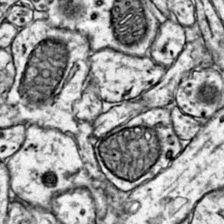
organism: Mouse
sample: Primary visual cortex